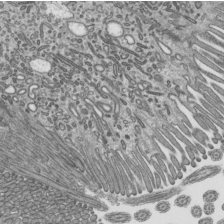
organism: Mouse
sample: Mouse epididymis efferent ductule cilia